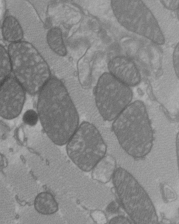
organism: C57BL Mouse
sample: Heart